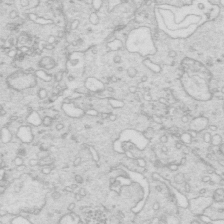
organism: Mouse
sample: Multiciliated cells